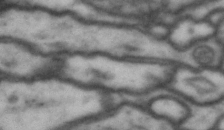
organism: Drosophila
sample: Brain